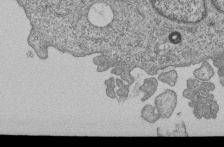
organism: Human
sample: MDA-MB-231 cells